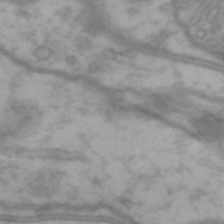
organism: Drosophila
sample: Brain